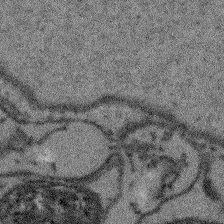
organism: Arabidopsis thaliana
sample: Root tip